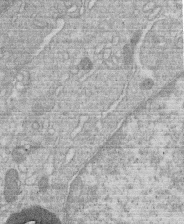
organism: Human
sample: Macrophage cells